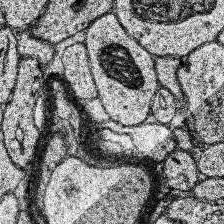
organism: Human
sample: Temporal Lobe